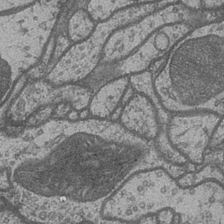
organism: Drosophila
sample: Optic medulla